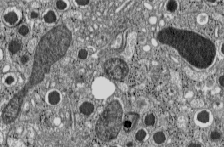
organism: C57BL Mouse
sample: Pancreatic islet